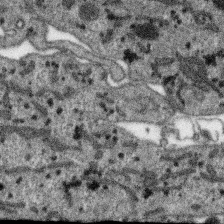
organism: Human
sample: Lung epithelial cells infected with SARS-CoV-2